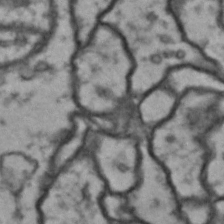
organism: Drosophila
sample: Brain